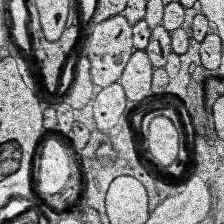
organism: Human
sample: Temporal Lobe